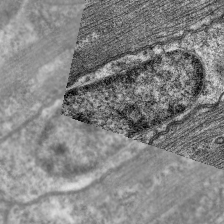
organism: C. elegans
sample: Pharynx